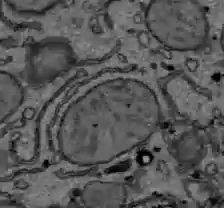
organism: C57BL Mouse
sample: Liver